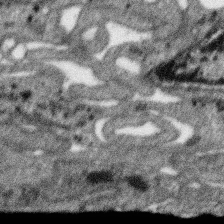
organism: Human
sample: Lung epithelial cells infected with SARS-CoV-2